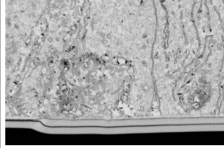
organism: Drosophila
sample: Cell division; meiosis; drosophila spermatocytes